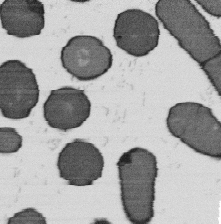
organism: B. subtilis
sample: Bacterial spore